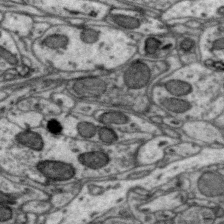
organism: Zebra finch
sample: Brain